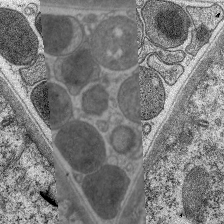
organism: C. elegans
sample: Pharynx